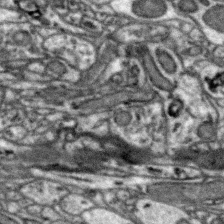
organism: Zebra finch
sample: Brain